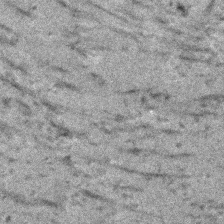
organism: Human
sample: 1205lu cells